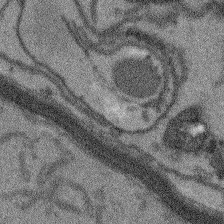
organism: Arabidopsis thaliana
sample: Root tip